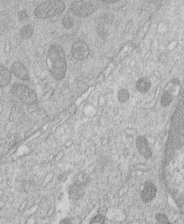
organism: Human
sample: Macrophage cells